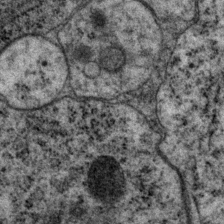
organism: P. pacificus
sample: Pharynx